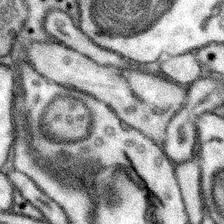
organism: Mouse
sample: Somatosensory cortex neuropil